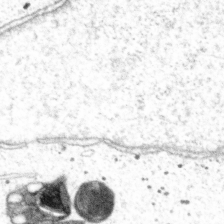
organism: Human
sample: HeLa cells